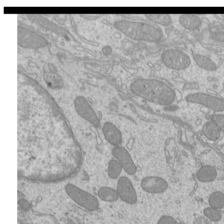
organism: Mouse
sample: Cilia; mouse epididymis